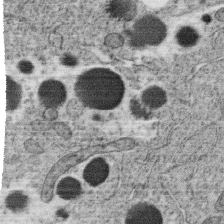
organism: C. elegans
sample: C. elegans oocyte; sperm cells